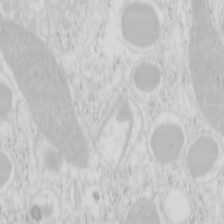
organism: Mouse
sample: Pancreas